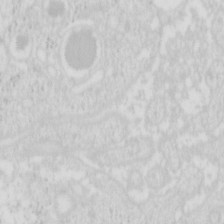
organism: Mouse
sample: Pancreas